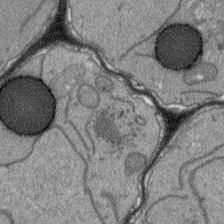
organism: Arabidopsis thaliana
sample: Root tip